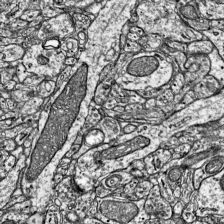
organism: Mouse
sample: Visual Cortex